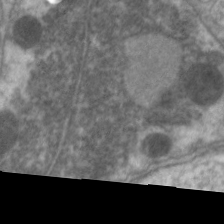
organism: C. elegans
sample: Pharynx